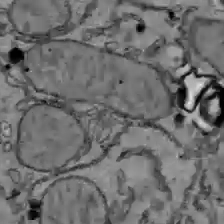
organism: C57BL Mouse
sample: Liver